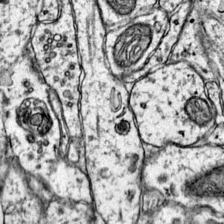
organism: Mouse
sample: Primary visual cortex